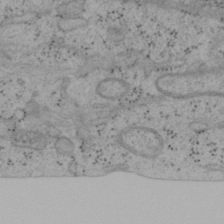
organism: Human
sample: HeLa cells